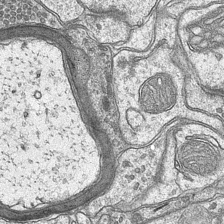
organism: Mouse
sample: CA1 Hippocampus